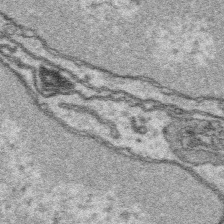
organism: Platynereis dumerilii